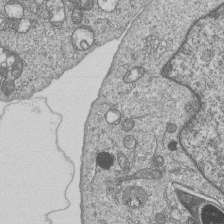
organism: Human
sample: MDA-MB-231 cells